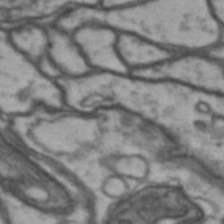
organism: Drosophila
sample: Brain